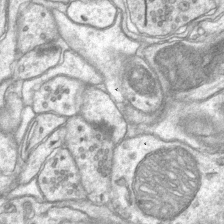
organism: Mouse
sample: CA1 Hippocampus